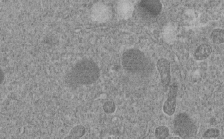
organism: C. elegans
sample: C. elegans embryo early stage